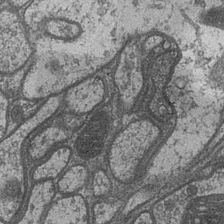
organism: Drosophila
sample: Optic medulla